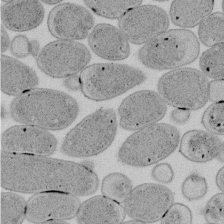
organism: E. coli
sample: Bacterial nucleoid